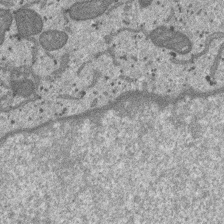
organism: Human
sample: Lung epithelial cells infected with SARS-CoV-2